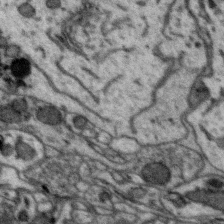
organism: Zebra finch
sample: Brain